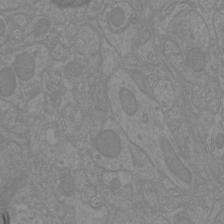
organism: Mouse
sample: Cortical neurons